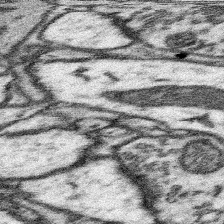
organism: Mouse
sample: Somatosensory cortex neuropil